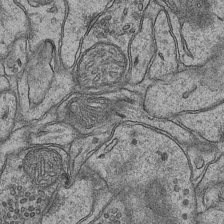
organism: Mouse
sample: CA1 Hippocampus